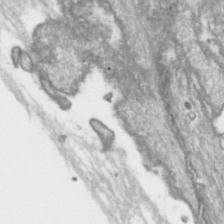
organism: Toxoplasma gondii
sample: Parasites in a vacuole inside a host cell